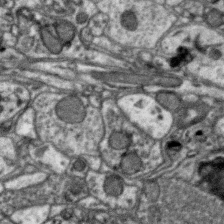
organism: Zebra finch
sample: Brain